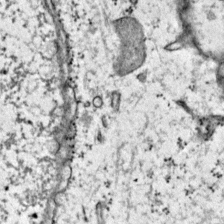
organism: Mouse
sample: Primary visual cortex